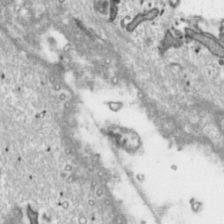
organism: Toxoplasma gondii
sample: Parasites in a vacuole inside a host cell